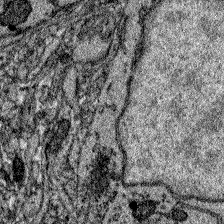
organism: Zebrafish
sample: Larval olfactory bulb